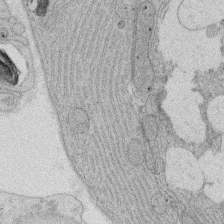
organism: Rat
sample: Salivary granule